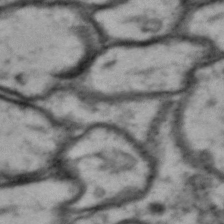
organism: Drosophila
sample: Brain